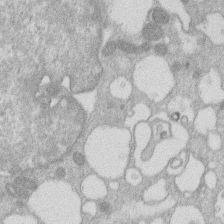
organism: Human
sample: Macrophage cells